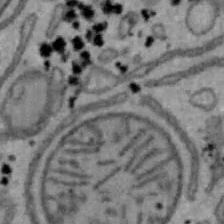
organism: Mouse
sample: Liver